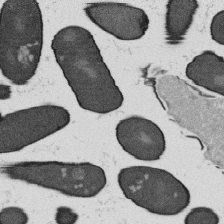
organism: B. subtilis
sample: Bacterial spore